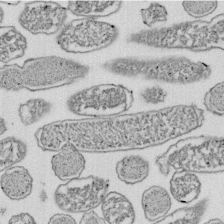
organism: E. coli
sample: Bacterial nucleoid